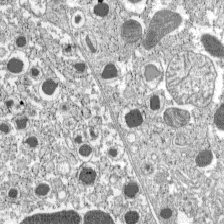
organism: C57BL Mouse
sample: Pancreatic islet